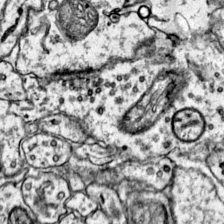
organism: Mouse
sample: Primary visual cortex